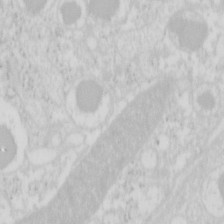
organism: Mouse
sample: Pancreas